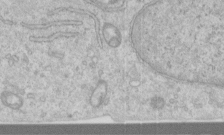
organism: Human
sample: Centriole in RPE cells